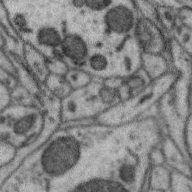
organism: Zebra finch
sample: Brain